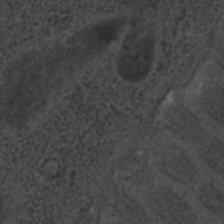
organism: C. elegans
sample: C. elegans embryo